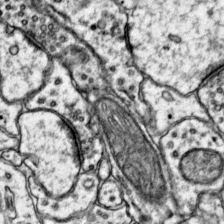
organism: Mouse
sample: Primary visual cortex